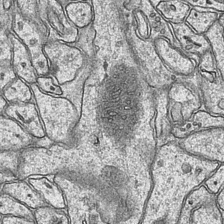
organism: Mouse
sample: CA1 Hippocampus